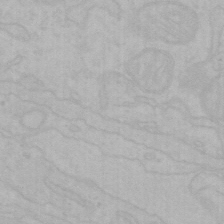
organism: Mouse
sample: Choroid plexus